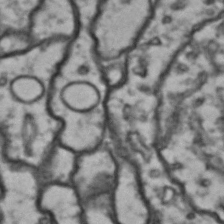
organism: Drosophila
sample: Brain